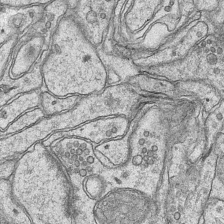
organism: Mouse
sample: CA1 Hippocampus